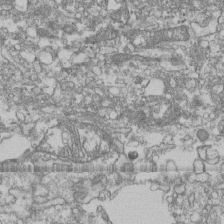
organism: Human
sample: Fibroblast cells